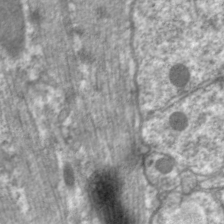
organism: C. elegans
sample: Pharynx